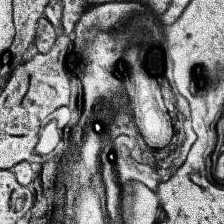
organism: Human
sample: Temporal Lobe